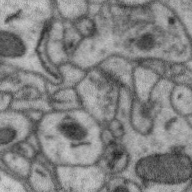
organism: Zebra finch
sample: Brain